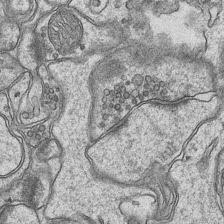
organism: Mouse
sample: CA1 Hippocampus